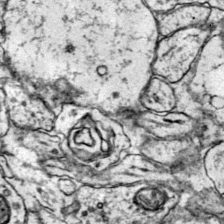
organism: Mouse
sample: Primary visual cortex